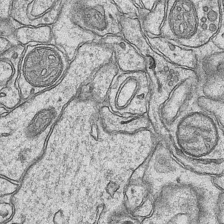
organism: Mouse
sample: CA1 Hippocampus